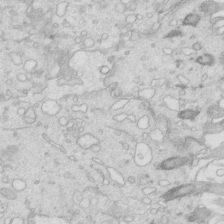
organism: Mouse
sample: Multiciliated cells